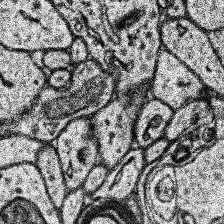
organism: Human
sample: Temporal Lobe